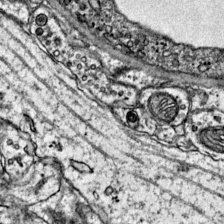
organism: Mouse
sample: Primary visual cortex